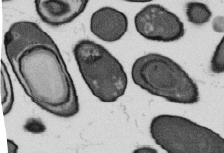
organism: B. subtilis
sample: Bacterial spore